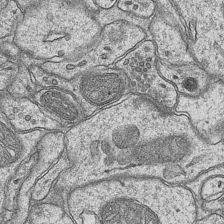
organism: Mouse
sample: CA1 Hippocampus